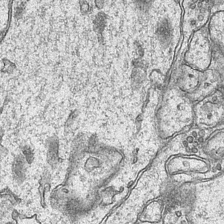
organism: Mouse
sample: CA1 Hippocampus